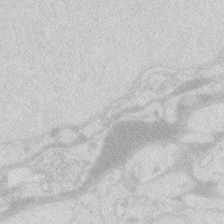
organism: Zebrafish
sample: Macrophage